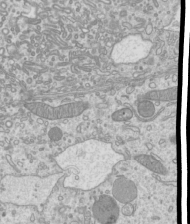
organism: Mouse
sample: Cilia; mouse epididymis